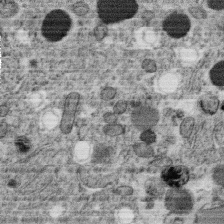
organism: C. elegans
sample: C. elegans oocyte; sperm cells